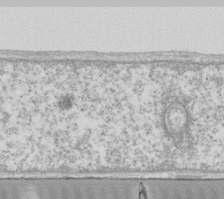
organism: Human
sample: Fibroblast cells